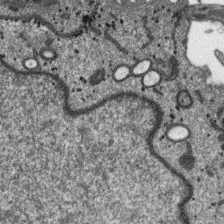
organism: Human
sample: Lung epithelial cells infected with SARS-CoV-2